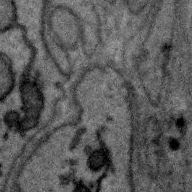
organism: Zebra finch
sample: Brain